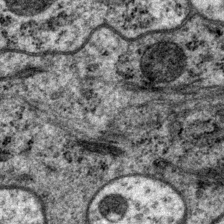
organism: P. pacificus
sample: Pharynx